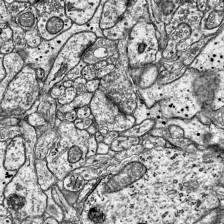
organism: Mouse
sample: Visual Cortex